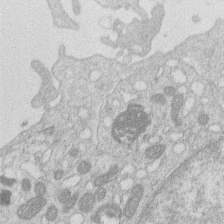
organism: Human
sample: Macrophage cells